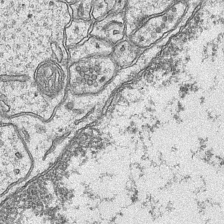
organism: Mouse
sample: CA1 Hippocampus